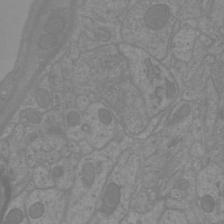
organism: Mouse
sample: Cortical neurons